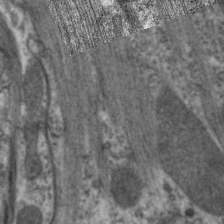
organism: C. elegans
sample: Pharynx